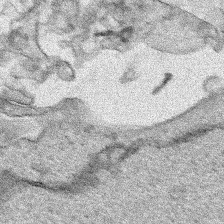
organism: Human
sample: Mitochondria in HCT116 cells